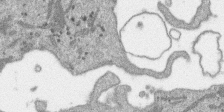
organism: Human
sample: Lung epithelial cells infected with SARS-CoV-2